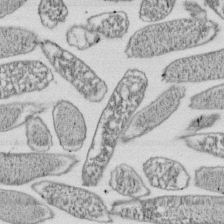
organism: E. coli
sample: Bacterial nucleoid